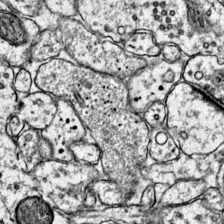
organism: Mouse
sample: Primary visual cortex